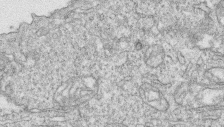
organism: Human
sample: HeLa cell HIV synapse